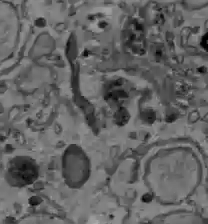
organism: C57BL Mouse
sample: Liver